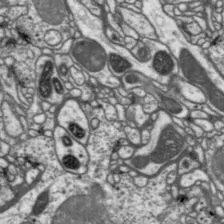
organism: Drosophila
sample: Protocerebral bridge